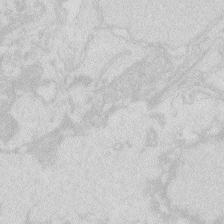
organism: Zebrafish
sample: Macrophage